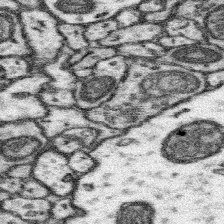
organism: Mouse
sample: Somatosensory cortex neuropil